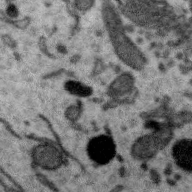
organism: Zebra finch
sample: Brain